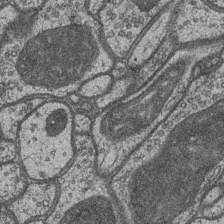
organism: Drosophila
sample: Optic medulla